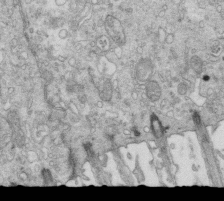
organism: Mouse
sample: Multiciliated cells